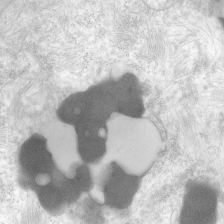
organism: Human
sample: Neocortex